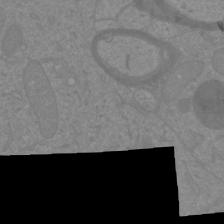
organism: Mouse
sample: Cortical neurons